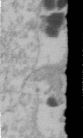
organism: Human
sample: U2-OS cells